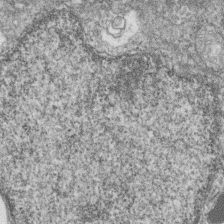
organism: Zebrafish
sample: Cilia; retinal pigment epithelium